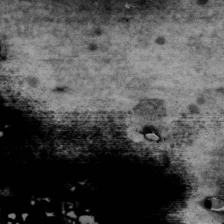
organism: Human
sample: U2-OS cells